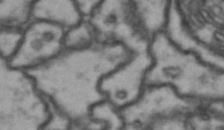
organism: Drosophila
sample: Brain